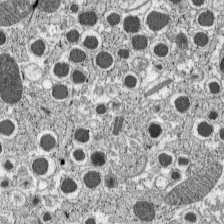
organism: C57BL Mouse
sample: Pancreatic islet